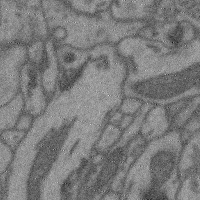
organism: Mouse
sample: Cerebral cortex